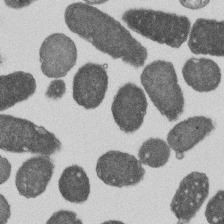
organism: E. coli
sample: Bacterial nucleoid